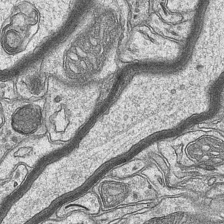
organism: Mouse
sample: CA1 Hippocampus